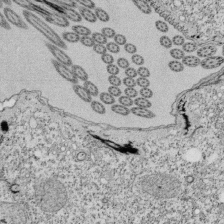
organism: Tetrahymena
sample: Cilia in tetrahymena